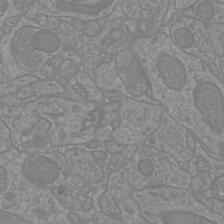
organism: Mouse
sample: Cortical neurons